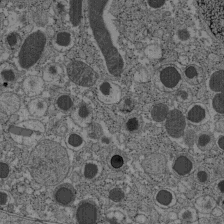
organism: C57BL Mouse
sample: Pancreatic islet